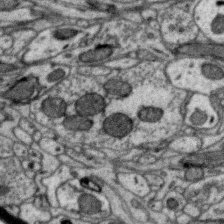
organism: Zebra finch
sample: Brain